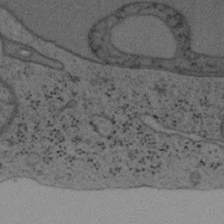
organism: Human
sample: HeLa cells